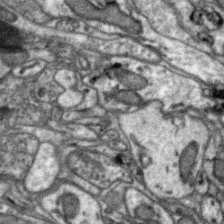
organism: Zebra finch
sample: Brain